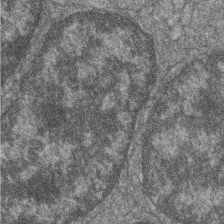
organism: Zebrafish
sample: Cilia; retinal pigment epithelium